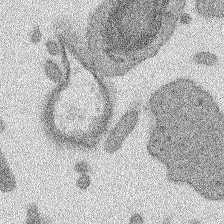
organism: Human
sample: HeLa cells